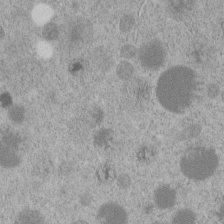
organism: C. elegans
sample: C. elegans embryo early stage